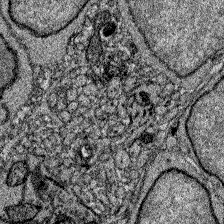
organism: Zebrafish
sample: Larval olfactory bulb